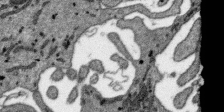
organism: Human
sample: Lung epithelial cells, uninfected (mock) control